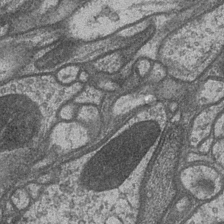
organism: Drosophila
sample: Optic medulla